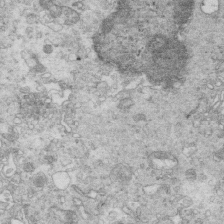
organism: Mouse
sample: Multiciliated cells